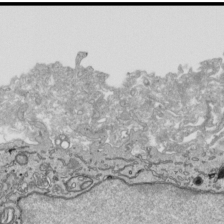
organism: Human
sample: Mitochondria in HCT116 cells